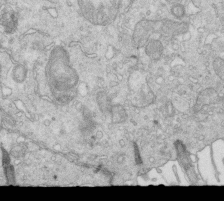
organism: Mouse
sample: Multiciliated cells